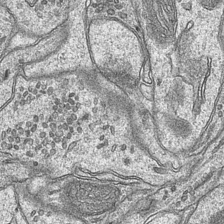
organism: Mouse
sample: CA1 Hippocampus